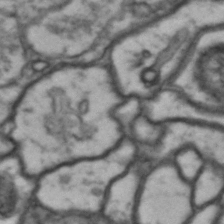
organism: Drosophila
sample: Brain